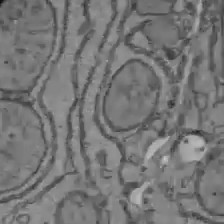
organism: C57BL Mouse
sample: Liver